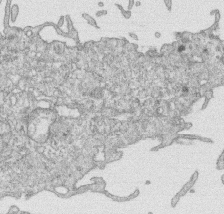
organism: Human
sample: HeLa cell HIV synapse